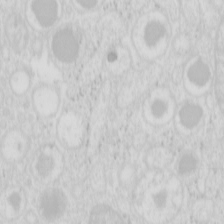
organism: Mouse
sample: Pancreas